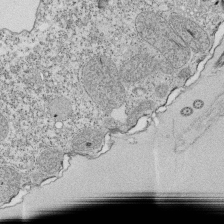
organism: Tetrahymena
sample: Cilia in tetrahymena